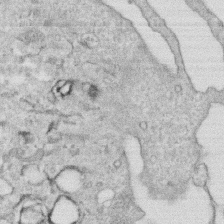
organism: Human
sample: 1205lu cells